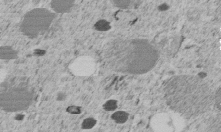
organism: C. elegans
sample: C. elegans embryo early stage